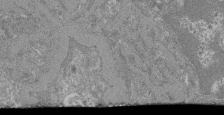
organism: Mouse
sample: Glomerulus